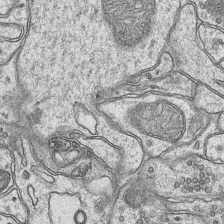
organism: Mouse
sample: CA1 Hippocampus